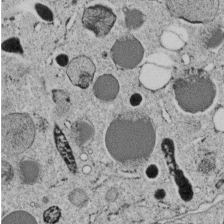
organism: C. elegans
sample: C. elegans embryo early stage